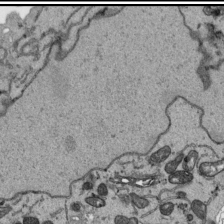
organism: Human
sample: Mitochondria in HCT116 cells